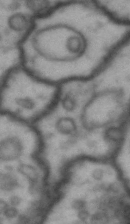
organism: Drosophila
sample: Brain